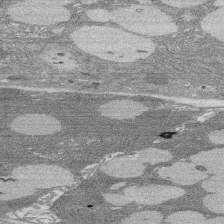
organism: Rat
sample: Salivary granule